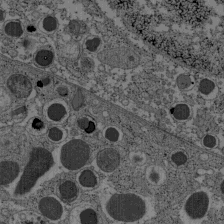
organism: C57BL Mouse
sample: Pancreatic islet